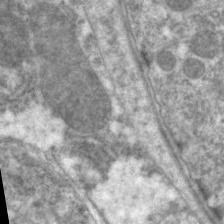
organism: C. elegans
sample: Pharynx